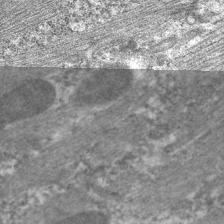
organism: C. elegans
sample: Pharynx